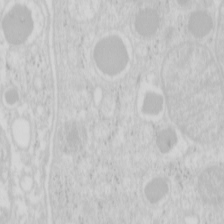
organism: Mouse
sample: Pancreas